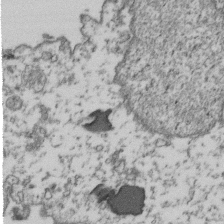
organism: Human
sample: Activated Jurkat CD4+ T cells